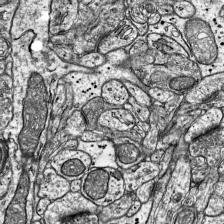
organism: Mouse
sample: Visual Cortex